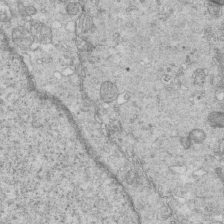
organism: Mouse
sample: Multiciliated cells